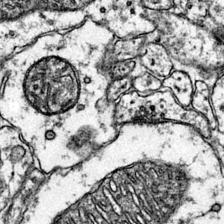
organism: Mouse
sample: Primary visual cortex